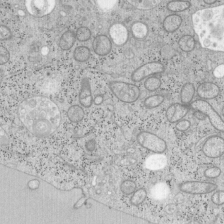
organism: Mouse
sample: OT-I killer T cells with ID8 ovarian cancer cells